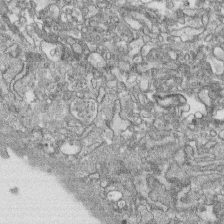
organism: Human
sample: CRL-1474